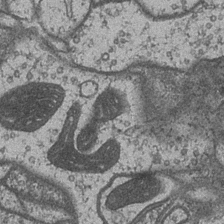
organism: Drosophila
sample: Optic medulla